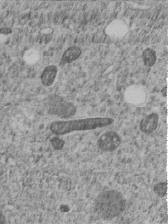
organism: C. elegans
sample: C. elegans embryo early stage